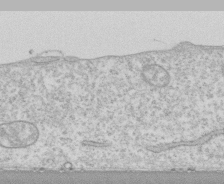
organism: Human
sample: CRL-1474